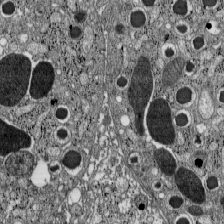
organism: C57BL Mouse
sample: Pancreatic islet